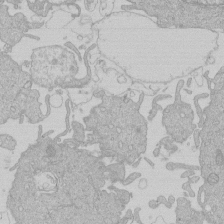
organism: Human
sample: Macrophage cells